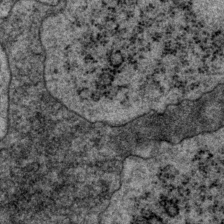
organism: P. pacificus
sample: Pharynx